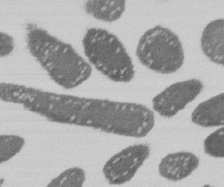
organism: E. coli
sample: Bacterial nucleoid